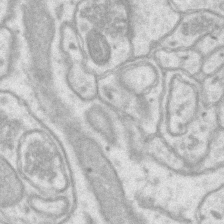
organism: Mouse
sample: CA1 Hippocampus